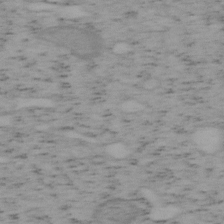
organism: Mouse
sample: OT-I killer T cells with ID8 ovarian cancer cells